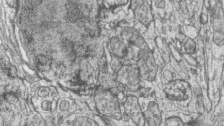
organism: Zebrafish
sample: synaptic ribbons in rod cells and cone cells